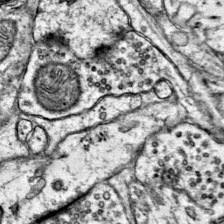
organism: Mouse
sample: Primary visual cortex